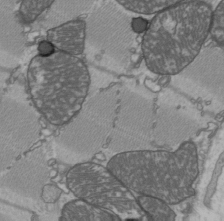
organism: C57BL Mouse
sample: Heart